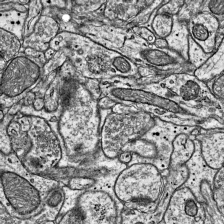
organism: Mouse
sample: Visual Cortex